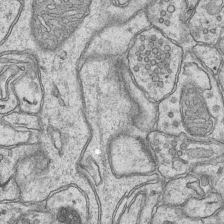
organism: Mouse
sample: CA1 Hippocampus